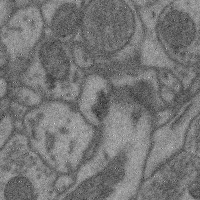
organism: Mouse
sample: Cerebral cortex